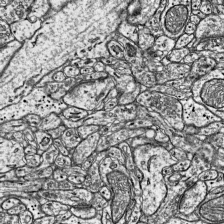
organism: Mouse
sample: Visual Cortex